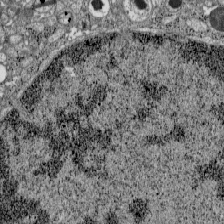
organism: C57BL Mouse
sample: Pancreatic islet